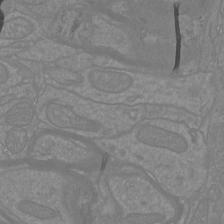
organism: Mouse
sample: Cortical neurons